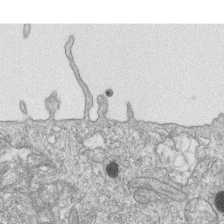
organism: Human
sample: HeLa cell HIV synapse